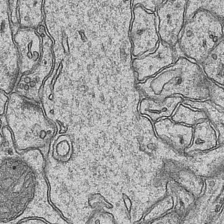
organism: Mouse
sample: CA1 Hippocampus